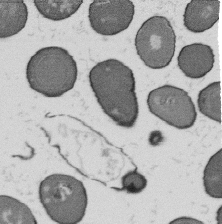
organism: B. subtilis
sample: Bacterial spore